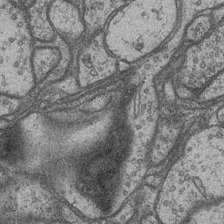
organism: Drosophila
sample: Optic medulla